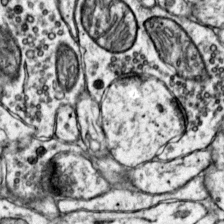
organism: Mouse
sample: Primary visual cortex